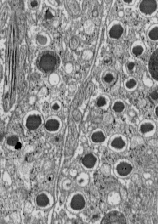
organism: C57BL Mouse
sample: Pancreatic islet